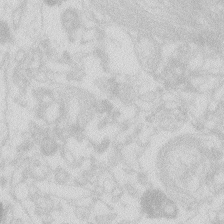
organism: Zebrafish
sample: Macrophage